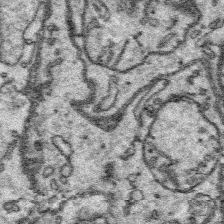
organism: Platynereis dumerilii